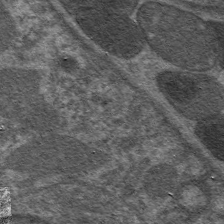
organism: C. elegans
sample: Pharynx